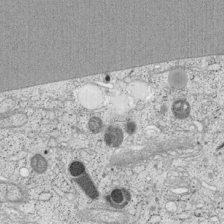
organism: African green monkey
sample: COS-7 cells